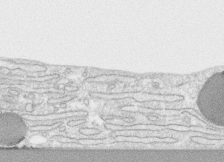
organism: Human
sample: CRL-1474